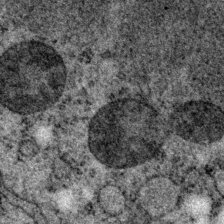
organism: P. pacificus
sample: Pharynx